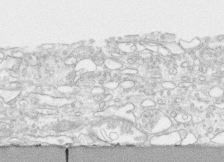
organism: Human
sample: CRL-1474